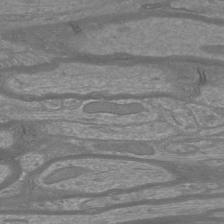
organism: Mouse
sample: Cortical neurons